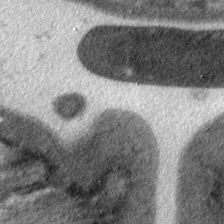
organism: C. elegans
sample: Pharynx